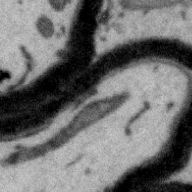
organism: Zebra finch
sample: Brain